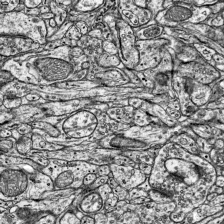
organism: Mouse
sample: Visual Cortex